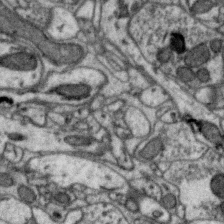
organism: Zebra finch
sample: Brain